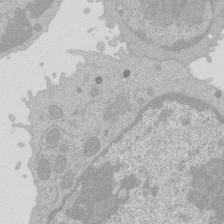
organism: Mouse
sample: Activated Pmel transgenic CD8+ T Cells